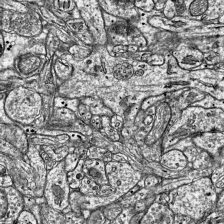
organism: Mouse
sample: Visual Cortex